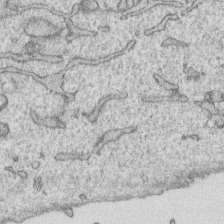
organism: Human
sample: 1205lu cells